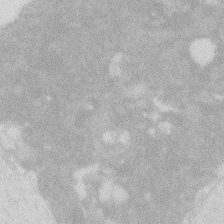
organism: Zebrafish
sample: Macrophage